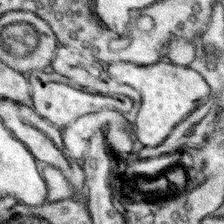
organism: Mouse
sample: Somatosensory cortex neuropil